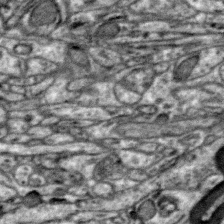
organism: Zebra finch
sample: Brain